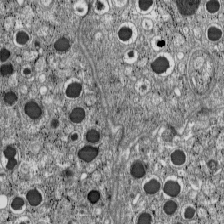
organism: C57BL Mouse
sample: Pancreatic islet